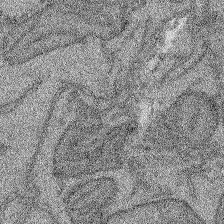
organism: Human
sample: HeLa cells